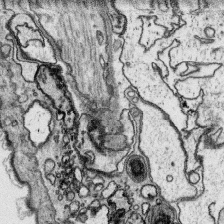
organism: Platynereis dumerilii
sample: Parapodia